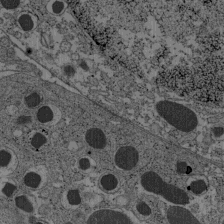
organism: C57BL Mouse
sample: Pancreatic islet